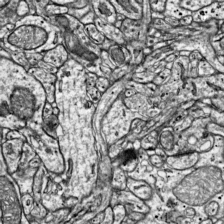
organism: Mouse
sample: Visual Cortex